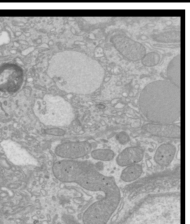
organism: Mouse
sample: Cilia; mouse epididymis